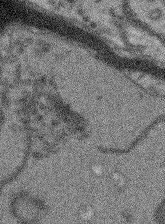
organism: Arabidopsis thaliana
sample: Root tip